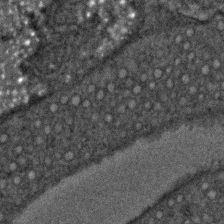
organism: C. elegans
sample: C. elegans embryo